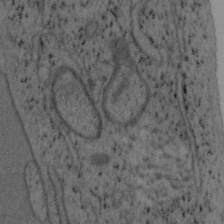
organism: Human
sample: HeLa cells